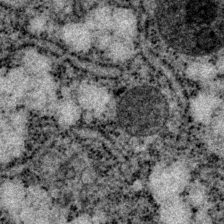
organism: P. pacificus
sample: Pharynx